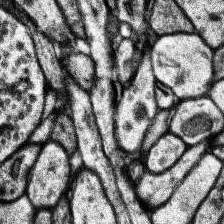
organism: Human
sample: Temporal Lobe